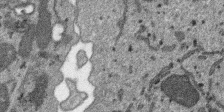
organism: Human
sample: Lung epithelial cells infected with SARS-CoV-2